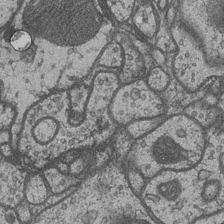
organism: Drosophila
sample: Optic medulla